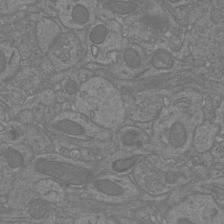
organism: Mouse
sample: Cortical neurons